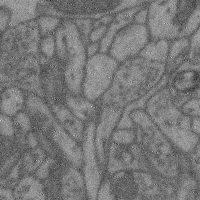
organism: Mouse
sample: Cerebral cortex